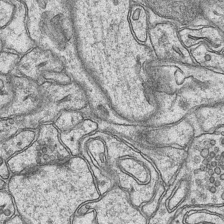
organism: Mouse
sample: CA1 Hippocampus